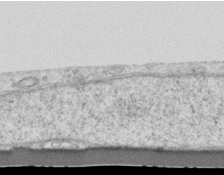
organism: Mouse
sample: Centriole in ependymal cells